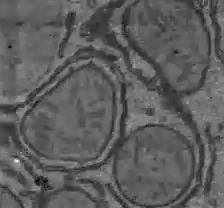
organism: C57BL Mouse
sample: Liver